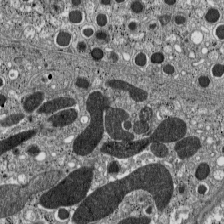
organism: C57BL Mouse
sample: Pancreatic islet